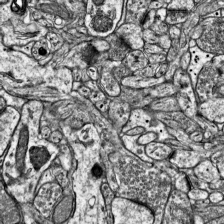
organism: Mouse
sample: Visual Cortex